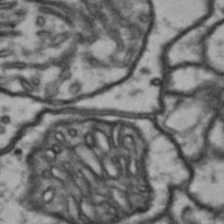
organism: Drosophila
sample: Brain